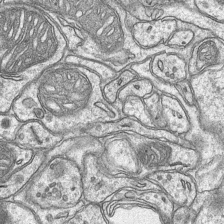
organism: Mouse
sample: CA1 Hippocampus